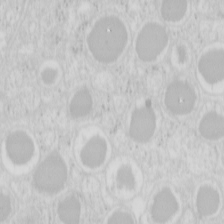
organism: Mouse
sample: Pancreas